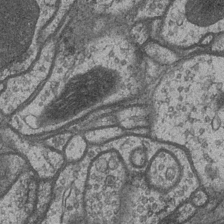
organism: Drosophila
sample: Optic medulla